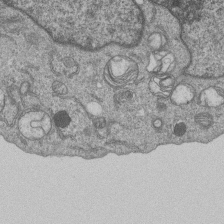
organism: Human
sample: MDA-MB-231 cells